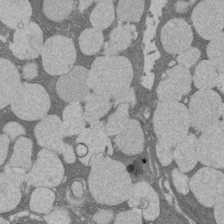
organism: Rat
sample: Salivary granule